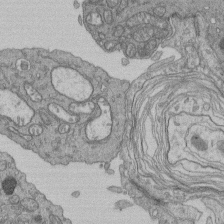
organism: Human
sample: Retinal organoid Rod and Cone cells